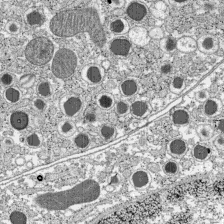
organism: C57BL Mouse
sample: Pancreatic islet